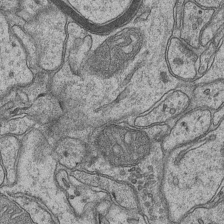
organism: Mouse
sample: CA1 Hippocampus